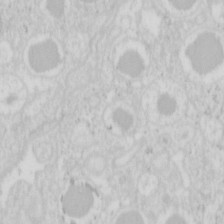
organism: Mouse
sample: Pancreas